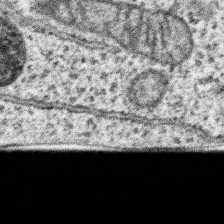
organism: Human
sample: HeLa cells